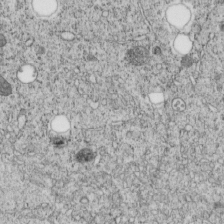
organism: C. elegans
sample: C. elegans embryo early stage